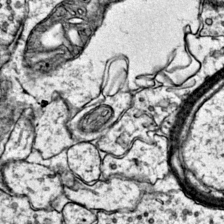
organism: Mouse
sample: Primary visual cortex